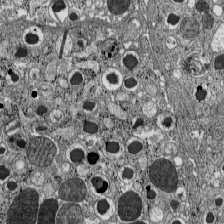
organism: C57BL Mouse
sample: Pancreatic islet